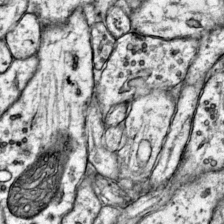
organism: Mouse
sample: Primary visual cortex